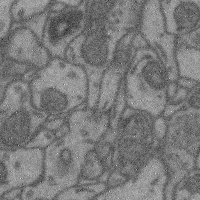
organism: Mouse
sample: Cerebral cortex